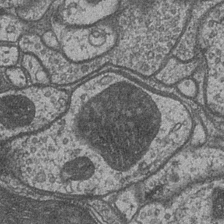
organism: Drosophila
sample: Optic medulla